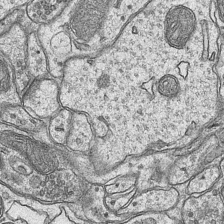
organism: Mouse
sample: CA1 Hippocampus